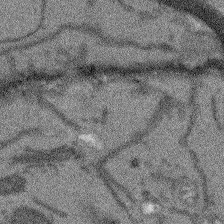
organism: Arabidopsis thaliana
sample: Root tip